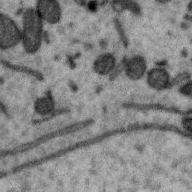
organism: Zebra finch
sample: Brain